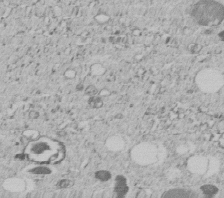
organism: C. elegans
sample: C. elegans embryo early stage